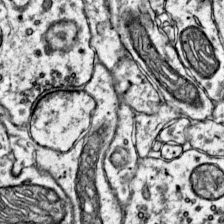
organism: Mouse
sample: Primary visual cortex